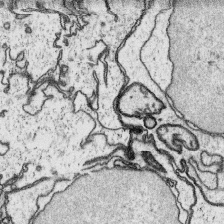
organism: Platynereis dumerilii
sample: Parapodia